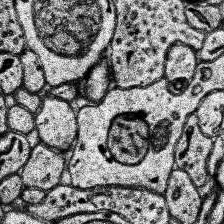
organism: Human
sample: Temporal Lobe